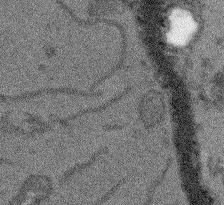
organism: Arabidopsis thaliana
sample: Root tip